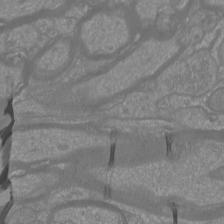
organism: Mouse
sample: Cortical neurons